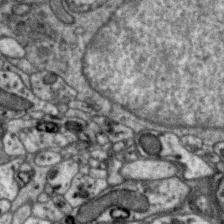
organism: Zebra finch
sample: Brain